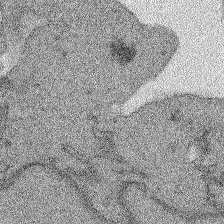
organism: Human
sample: HeLa cells